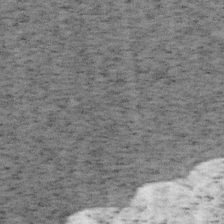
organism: Mouse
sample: OT-I killer T cells with ID8 ovarian cancer cells